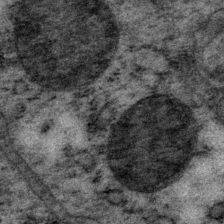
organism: P. pacificus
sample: Pharynx